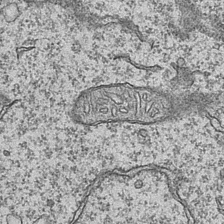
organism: Mouse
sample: CA1 Hippocampus